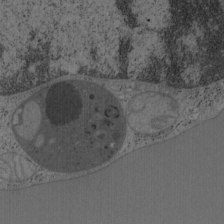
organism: Mouse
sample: OT-I killer T cells with ID8 ovarian cancer cells